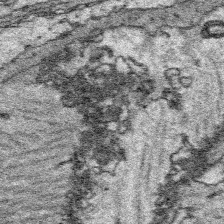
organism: Platynereis dumerilii